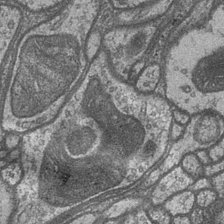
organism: Drosophila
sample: Optic medulla